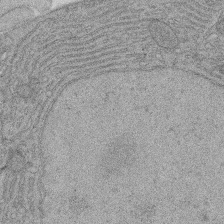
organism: Rat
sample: Salivary granule